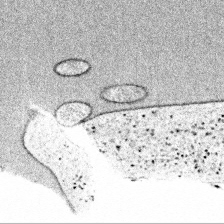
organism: Human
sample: HeLa cells